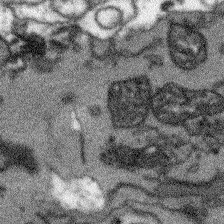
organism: Arabidopsis thaliana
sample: Root tip